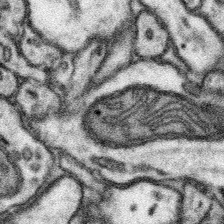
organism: Mouse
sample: Somatosensory cortex neuropil